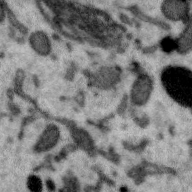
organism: Zebra finch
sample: Brain